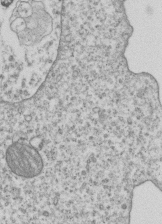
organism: Human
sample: MDA-MB-231 cells